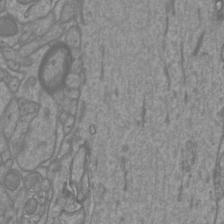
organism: Mouse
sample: Cortical neurons